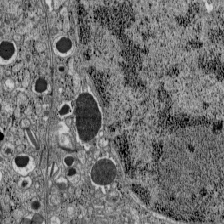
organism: C57BL Mouse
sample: Pancreatic islet